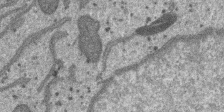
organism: Human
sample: Lung epithelial cells infected with SARS-CoV-2